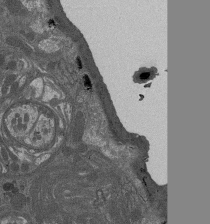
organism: Drosophila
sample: Antenna